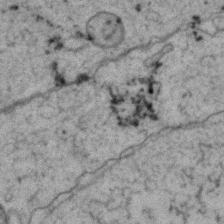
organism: Zebrafish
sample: Zebrafish embryo